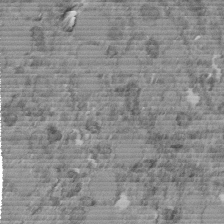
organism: C. elegans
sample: C. elegans embryo early stage